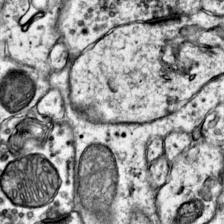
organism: Mouse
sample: Primary visual cortex